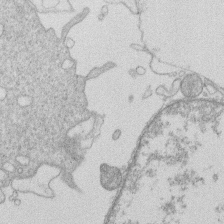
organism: Human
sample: Macrophage cells